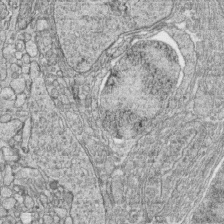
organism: Zebrafish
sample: synaptic ribbons in rod cells and cone cells